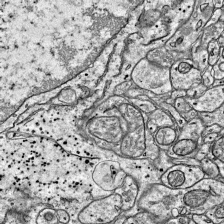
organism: Mouse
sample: Visual Cortex